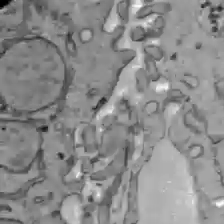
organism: C57BL Mouse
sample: Liver